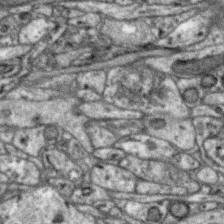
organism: Zebra finch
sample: Brain